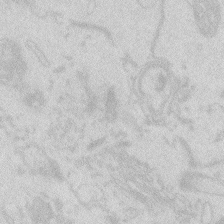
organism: Zebrafish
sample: Macrophage